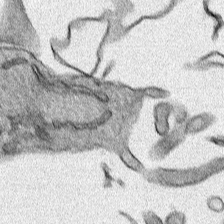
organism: Human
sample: Mitochondria in HCT116 cells